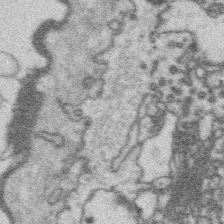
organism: Platynereis dumerilii